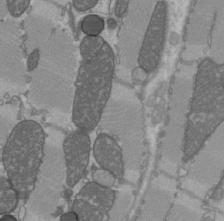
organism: C57BL Mouse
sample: Heart